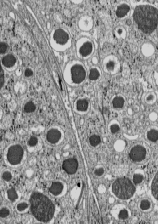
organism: C57BL Mouse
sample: Pancreatic islet